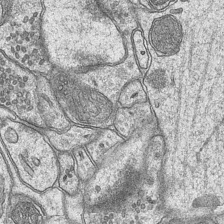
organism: Mouse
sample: CA1 Hippocampus